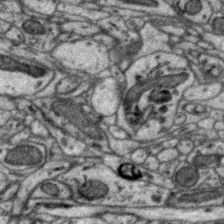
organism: Zebra finch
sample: Brain